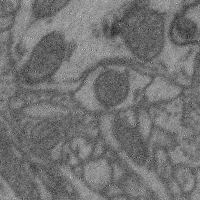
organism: Mouse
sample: Cerebral cortex